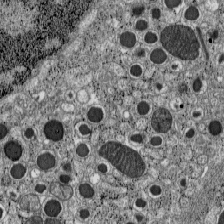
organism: C57BL Mouse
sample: Pancreatic islet